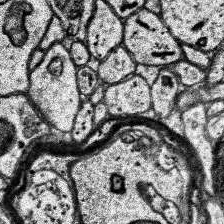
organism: Human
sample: Temporal Lobe